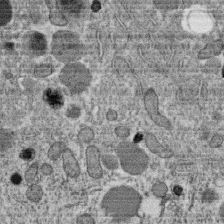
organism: C. elegans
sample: C. elegans oocyte; sperm cells